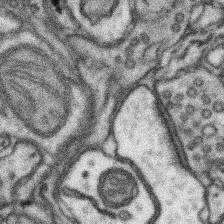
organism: Mouse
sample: Somatosensory cortex neuropil